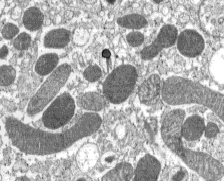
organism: C57BL Mouse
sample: Pancreatic islet